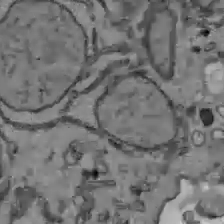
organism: C57BL Mouse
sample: Liver